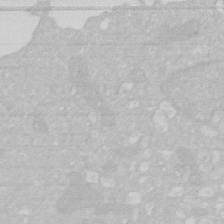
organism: Human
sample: HIV infected U937 cells